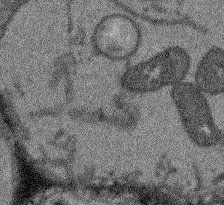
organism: Arabidopsis thaliana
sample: Root tip